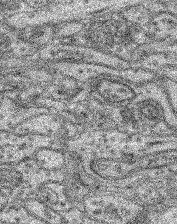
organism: Mouse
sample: Retina